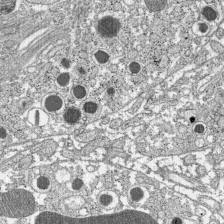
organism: C57BL Mouse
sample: Pancreatic islet